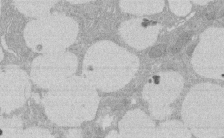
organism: Rat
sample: Salivary granule